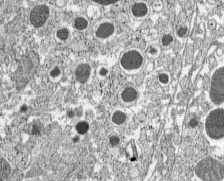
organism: C57BL Mouse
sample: Pancreatic islet